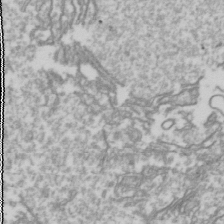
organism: Drosophila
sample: Cell division; meiosis; drosophila spermatocytes